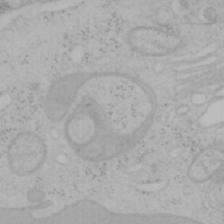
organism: Mouse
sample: OT-I killer T cells with ID8 ovarian cancer cells